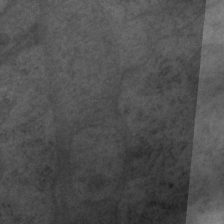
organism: P. pacificus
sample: Pharynx